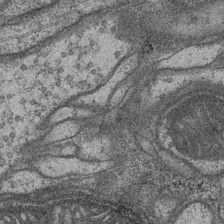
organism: Drosophila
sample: Optic medulla